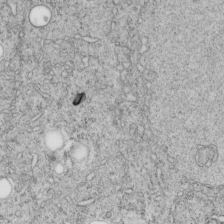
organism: C. elegans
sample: C. elegans embryo early stage